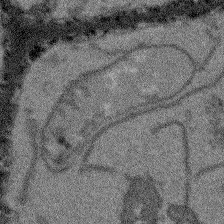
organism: Arabidopsis thaliana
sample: Root tip